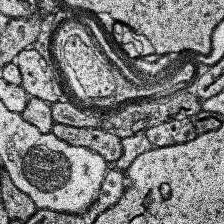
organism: Human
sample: Temporal Lobe